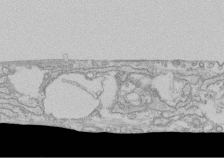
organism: Human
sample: CRL-1474